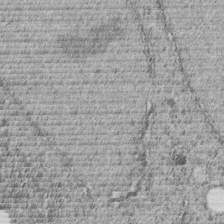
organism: C. elegans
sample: C. elegans embryo early stage